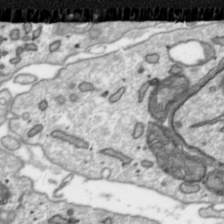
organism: Toxoplasma gondii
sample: Parasites in a vacuole inside a host cell